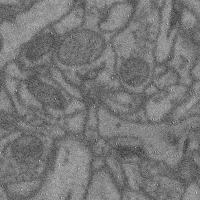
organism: Mouse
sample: Cerebral cortex